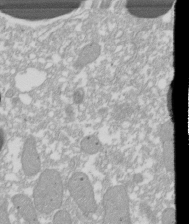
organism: Xenopus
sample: Cilia; centrioles in frog embryo cells